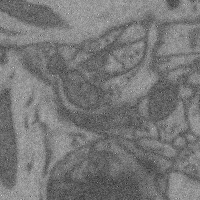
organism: Mouse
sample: Cerebral cortex